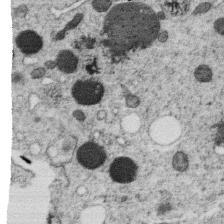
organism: C. elegans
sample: C. elegans oocyte; sperm cells